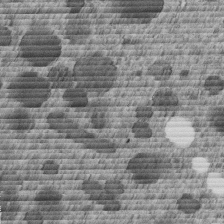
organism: C. elegans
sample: C. elegans embryo early stage